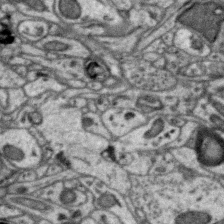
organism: Zebra finch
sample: Brain